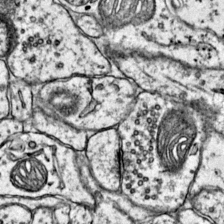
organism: Mouse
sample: Primary visual cortex